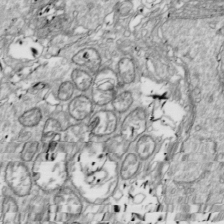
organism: Drosophila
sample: Cell division; meiosis; drosophila spermatocytes